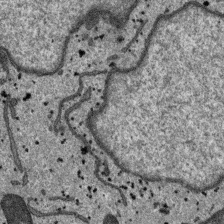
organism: Human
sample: Lung epithelial cells, uninfected (mock) control